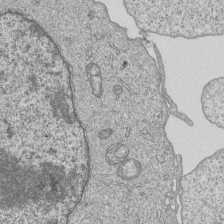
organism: Human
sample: MDA-MB-231 cells